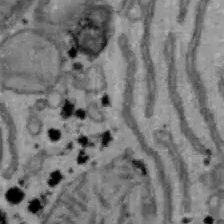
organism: Mouse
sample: Liver